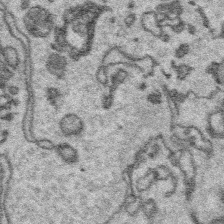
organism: Platynereis dumerilii